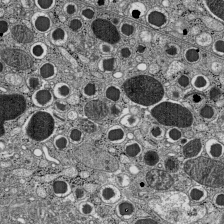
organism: C57BL Mouse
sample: Pancreatic islet